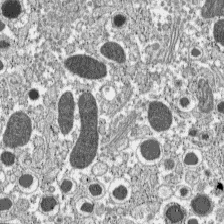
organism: C57BL Mouse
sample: Pancreatic islet